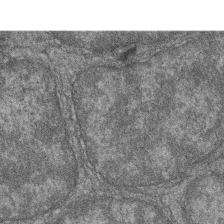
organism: Zebrafish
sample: Cilia; retinal pigment epithelium